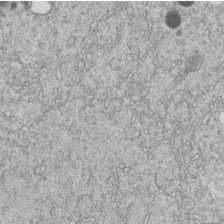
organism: C. elegans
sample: C. elegans embryo early stage